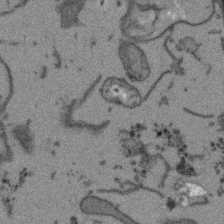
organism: Arabidopsis thaliana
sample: Root tip